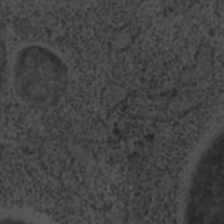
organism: C. elegans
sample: C. elegans embryo